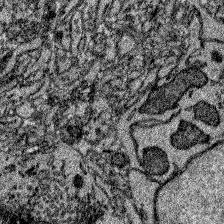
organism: Zebrafish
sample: Larval olfactory bulb